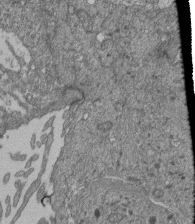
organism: Human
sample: Retinal organoid Rod and Cone cells